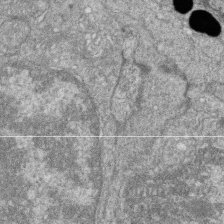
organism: Zebrafish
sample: Cilia; retinal pigment epithelium